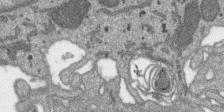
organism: Human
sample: Lung epithelial cells infected with SARS-CoV-2